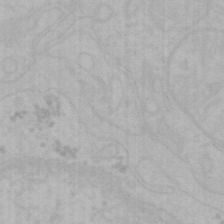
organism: Mouse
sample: Choroid plexus